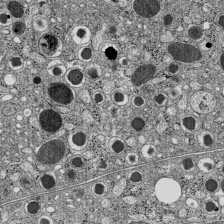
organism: C57BL Mouse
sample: Pancreatic islet